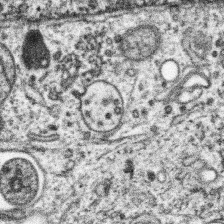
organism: Human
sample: HeLa cells